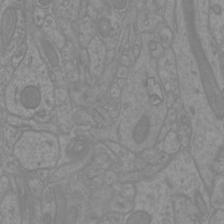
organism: Mouse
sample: Cortical neurons